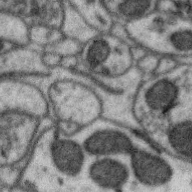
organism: Zebra finch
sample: Brain